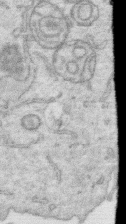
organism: Human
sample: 1205lu cells